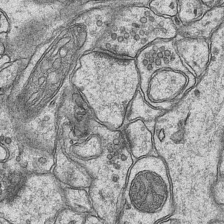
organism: Mouse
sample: CA1 Hippocampus